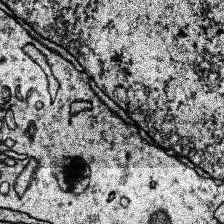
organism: Human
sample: Temporal Lobe